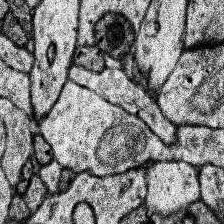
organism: Human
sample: Temporal Lobe